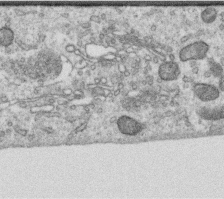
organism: Human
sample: Centriole in RPE cells